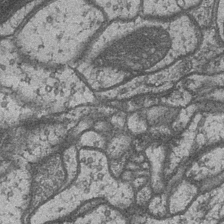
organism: Drosophila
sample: Optic medulla